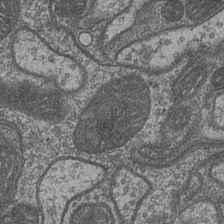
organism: Drosophila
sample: Optic medulla